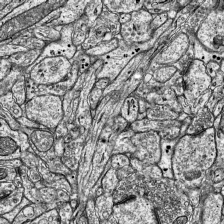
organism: Mouse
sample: Visual Cortex